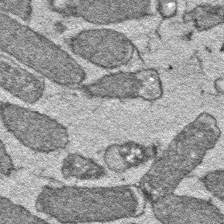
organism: E. coli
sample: E. Coli Bacteria